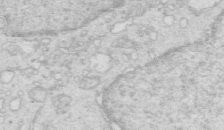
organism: Mouse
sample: Multiciliated cells